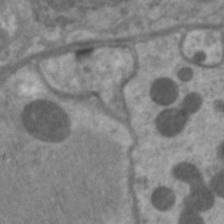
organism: C. elegans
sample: Pharynx